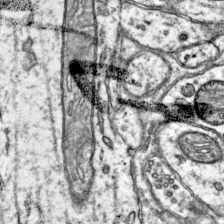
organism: Mouse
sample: Primary visual cortex